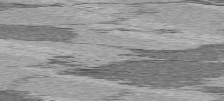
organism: C57BL Mouse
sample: Heart